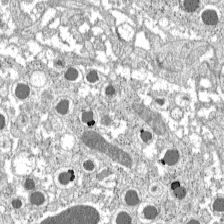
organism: C57BL Mouse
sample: Pancreatic islet